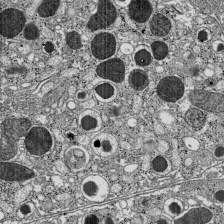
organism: C57BL Mouse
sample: Pancreatic islet